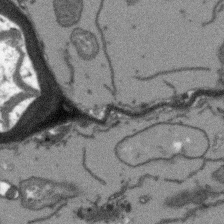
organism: Arabidopsis thaliana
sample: Root tip